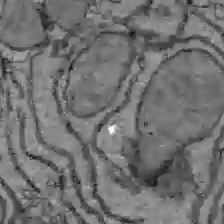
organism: C57BL Mouse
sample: Liver